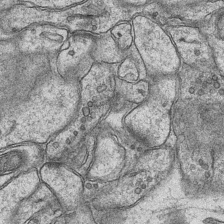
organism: Mouse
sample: CA1 Hippocampus